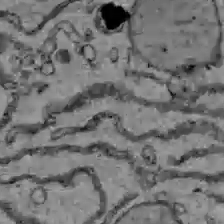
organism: C57BL Mouse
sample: Liver